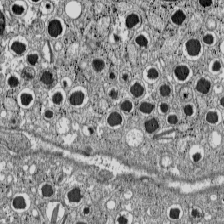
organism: C57BL Mouse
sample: Pancreatic islet